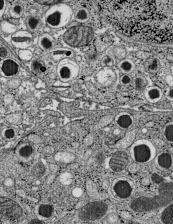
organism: C57BL Mouse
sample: Pancreatic islet